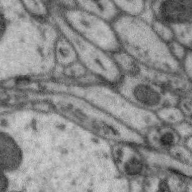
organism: Zebra finch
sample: Brain